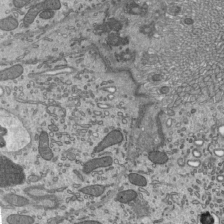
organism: Mouse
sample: Mouse epididymis efferent ductule cilia